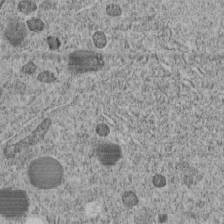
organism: C. elegans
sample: C. elegans embryo early stage